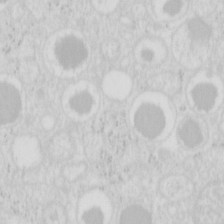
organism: Mouse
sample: Pancreas